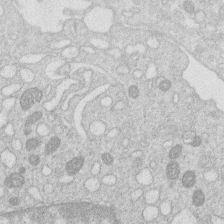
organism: Human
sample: Macrophage cells